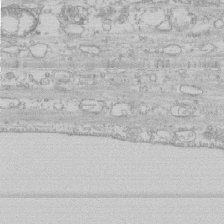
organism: Human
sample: CRL-1474